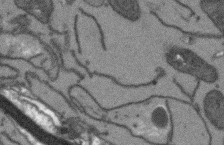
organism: Arabidopsis thaliana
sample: Root tip